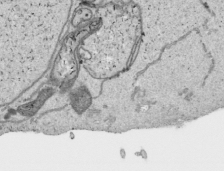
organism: Human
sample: Mitochondria in HCT116 cells